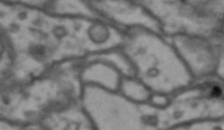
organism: Drosophila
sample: Brain